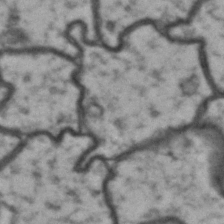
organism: Drosophila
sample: Brain